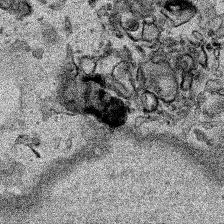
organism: Human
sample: Mitochondria in HCT116 cells